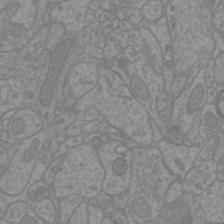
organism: Mouse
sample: Cortical neurons